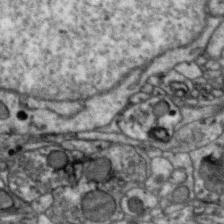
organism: Zebra finch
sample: Brain